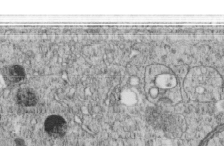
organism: C. elegans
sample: C. elegans embryo early stage